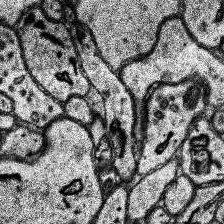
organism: Human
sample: Temporal Lobe